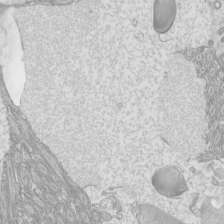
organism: Mouse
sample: Cilia; mouse epididymis